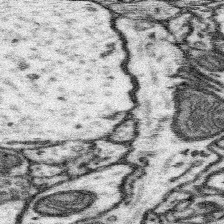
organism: Mouse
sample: Somatosensory cortex neuropil